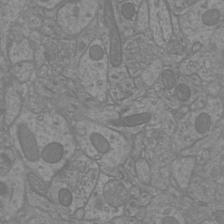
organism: Mouse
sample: Cortical neurons